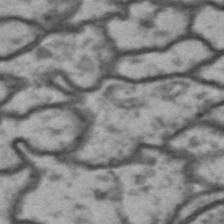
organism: Drosophila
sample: Brain